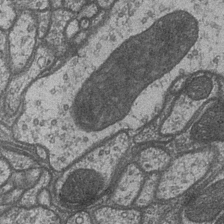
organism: Drosophila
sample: Optic medulla